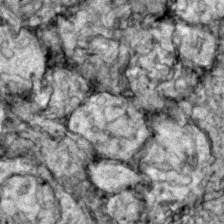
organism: Zebrafish